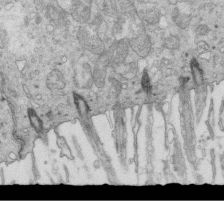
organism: Mouse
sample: Multiciliated cells